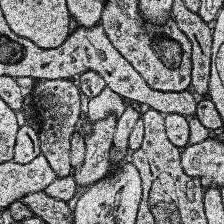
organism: Human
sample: Temporal Lobe